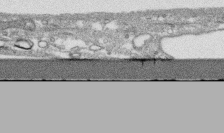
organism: Human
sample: CRL-1474